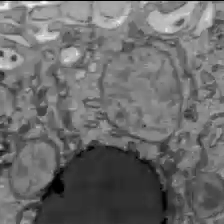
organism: C57BL Mouse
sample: Liver